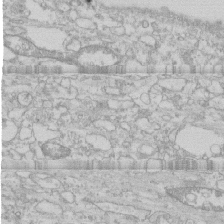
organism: Human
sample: CRL-1474